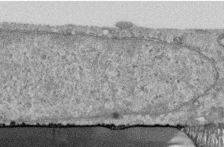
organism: Human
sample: Centriole in RPE cells